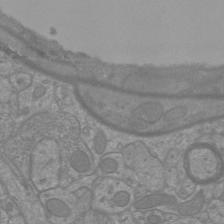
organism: Mouse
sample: Cortical neurons